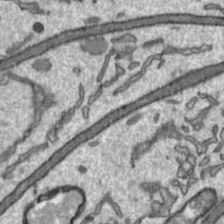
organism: Toxoplasma gondii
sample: Parasites in a vacuole inside a host cell